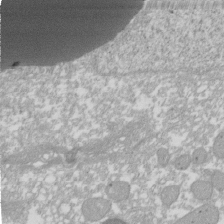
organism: Xenopus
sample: Cilia; centrioles in frog embryo cells